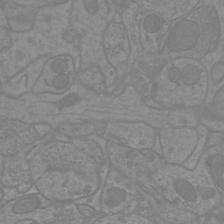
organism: Mouse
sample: Cortical neurons